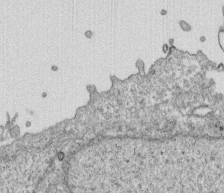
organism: Human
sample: HeLa cell HIV synapse